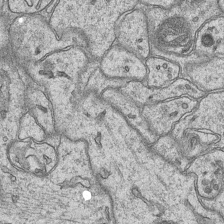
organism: Mouse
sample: CA1 Hippocampus